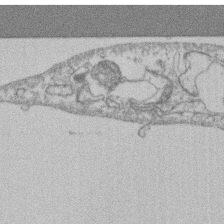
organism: Mouse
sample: T cell stromal cell synapse